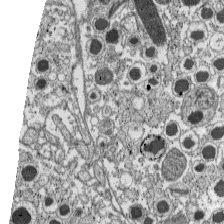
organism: C57BL Mouse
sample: Pancreatic islet